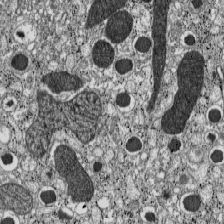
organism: C57BL Mouse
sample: Pancreatic islet